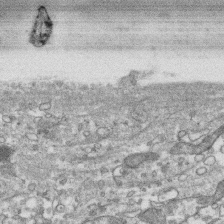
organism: Human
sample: CRL-1474